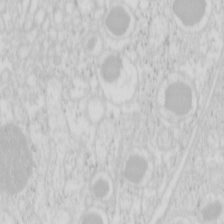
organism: Mouse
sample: Pancreas